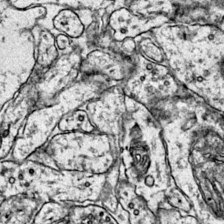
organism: Mouse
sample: Primary visual cortex